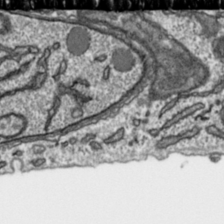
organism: Toxoplasma gondii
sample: Parasites in a vacuole inside a host cell